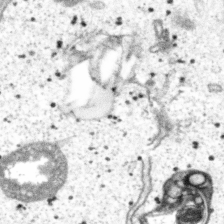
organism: Human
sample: HeLa cells